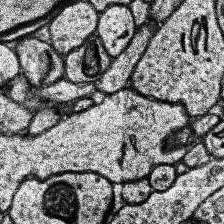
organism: Human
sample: Temporal Lobe